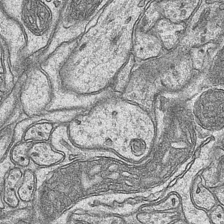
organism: Mouse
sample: CA1 Hippocampus